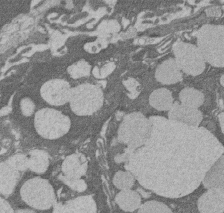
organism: Rat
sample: Salivary granule